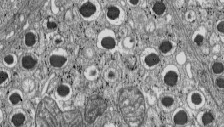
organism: C57BL Mouse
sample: Pancreatic islet